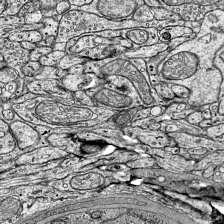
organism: Mouse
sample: Visual Cortex